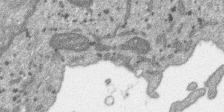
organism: Human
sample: Lung epithelial cells infected with SARS-CoV-2